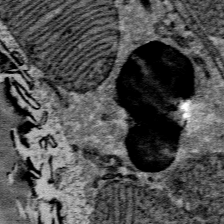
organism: Mouse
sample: Mouse Salivary gland